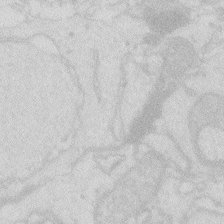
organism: Zebrafish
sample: Macrophage